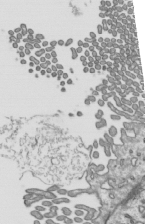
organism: Mouse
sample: Mouse epididymis efferent ductule cilia